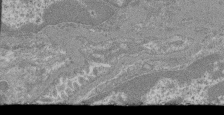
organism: Mouse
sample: Glomerulus